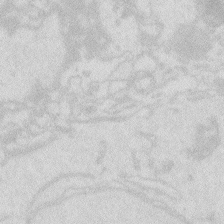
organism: Zebrafish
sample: Macrophage